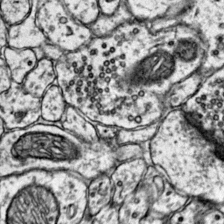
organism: Mouse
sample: Primary visual cortex